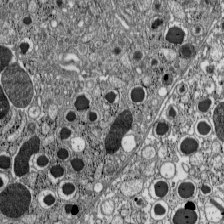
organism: C57BL Mouse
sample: Pancreatic islet